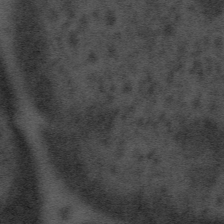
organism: Tuwongella immobilis